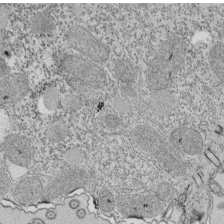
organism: Tetrahymena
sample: Cilia in tetrahymena